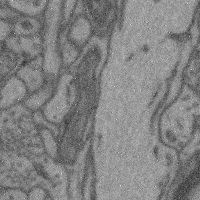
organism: Mouse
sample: Cerebral cortex